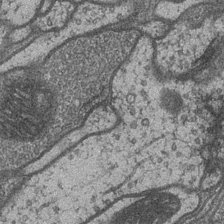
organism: Drosophila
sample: Optic medulla